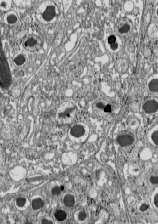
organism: C57BL Mouse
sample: Pancreatic islet